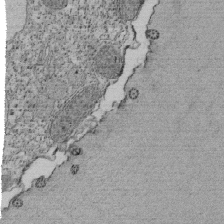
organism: Tetrahymena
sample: Cilia in tetrahymena